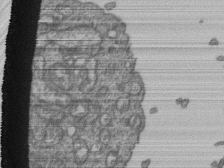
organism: Human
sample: Retinal organoid Rod and Cone cells